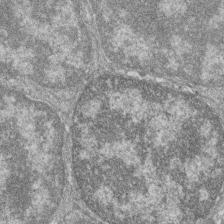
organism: Zebrafish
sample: Cilia; retinal pigment epithelium